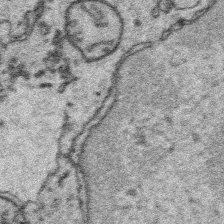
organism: Platynereis dumerilii